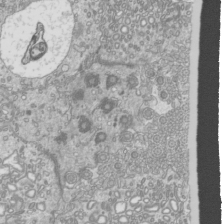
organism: Mouse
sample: Cilia; mouse epididymis